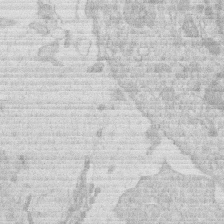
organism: Human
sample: Macrophage cells